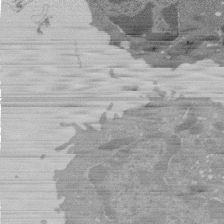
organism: Mouse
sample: Activated Pmel transgenic CD8+ T Cells